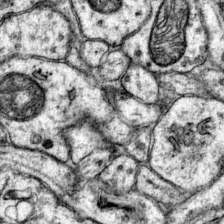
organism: Mouse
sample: Primary visual cortex